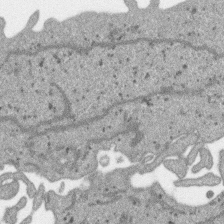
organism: Human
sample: Lung epithelial cells infected with SARS-CoV-2